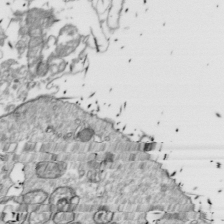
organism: Drosophila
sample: Cell division; meiosis; drosophila spermatocytes